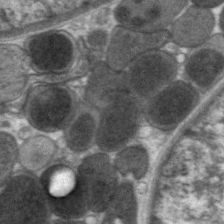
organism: C. elegans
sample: Pharynx